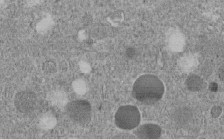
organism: C. elegans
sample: C. elegans embryo early stage